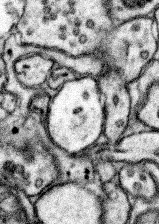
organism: Mouse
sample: Somatosensory cortex neuropil